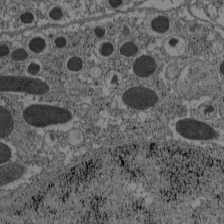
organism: C57BL Mouse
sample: Pancreatic islet